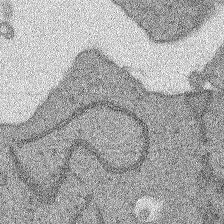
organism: Human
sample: HeLa cells